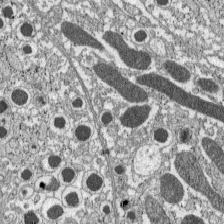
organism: C57BL Mouse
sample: Pancreatic islet